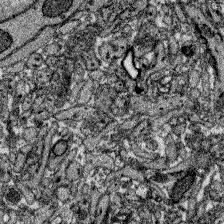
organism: Zebrafish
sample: Larval olfactory bulb